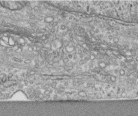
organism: Human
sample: Centriole in RPE cells